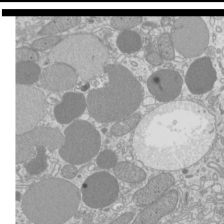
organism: Mouse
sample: Cilia; mouse epididymis